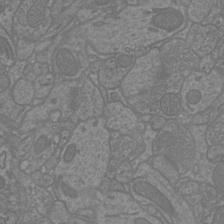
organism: Mouse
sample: Cortical neurons